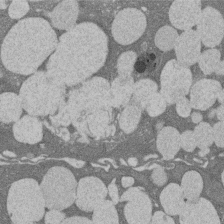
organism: Rat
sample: Salivary granule